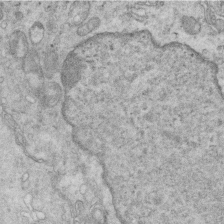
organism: Mouse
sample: Multiciliated cells